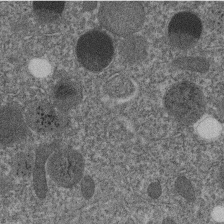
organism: C. elegans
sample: C. elegans embryo early stage